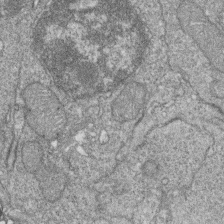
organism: Zebrafish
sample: Cilia; retinal pigment epithelium